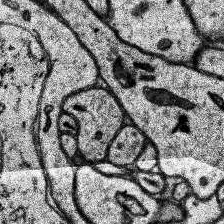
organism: Human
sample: Temporal Lobe